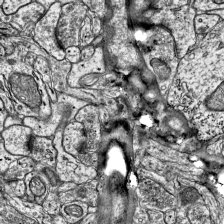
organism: Mouse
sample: Visual Cortex